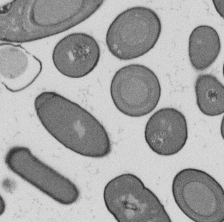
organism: B. subtilis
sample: Bacterial spore